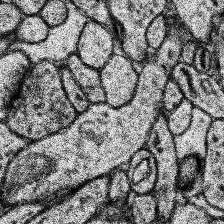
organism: Human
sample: Temporal Lobe